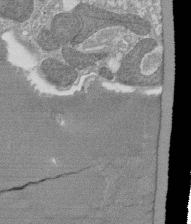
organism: Tetrahymena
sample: Cilia in tetrahymena